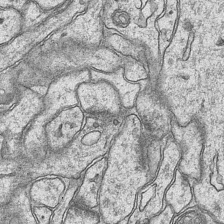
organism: Mouse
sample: CA1 Hippocampus